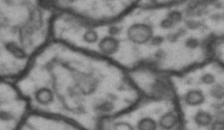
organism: Drosophila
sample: Brain